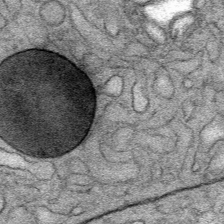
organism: Mouse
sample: Mouse Salivary gland